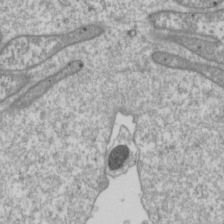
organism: Drosophila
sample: Cell division; meiosis; drosophila spermatocytes